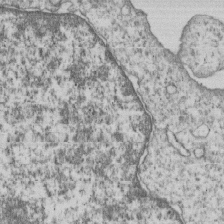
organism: Human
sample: MDA-MB-231 cells